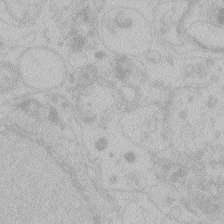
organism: Zebrafish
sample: Macrophage infected with Toxoplasma gondii